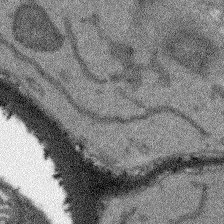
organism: Arabidopsis thaliana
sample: Root tip